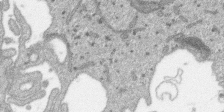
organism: Human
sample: Lung epithelial cells infected with SARS-CoV-2